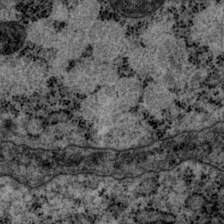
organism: P. pacificus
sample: Pharynx